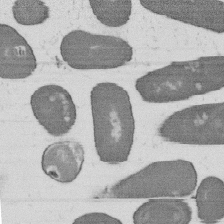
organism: B. subtilis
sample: Bacterial spore